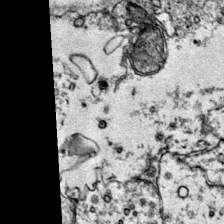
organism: Mouse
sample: Primary visual cortex